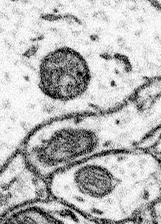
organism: Mouse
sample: Somatosensory cortex neuropil